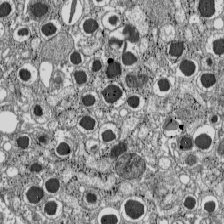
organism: C57BL Mouse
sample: Pancreatic islet